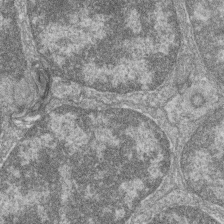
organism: Zebrafish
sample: Cilia; retinal pigment epithelium